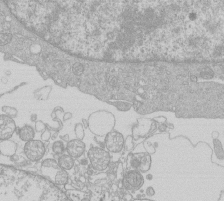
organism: Human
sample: Macrophage cells